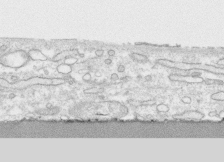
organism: Human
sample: CRL-1474